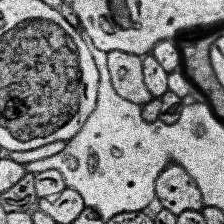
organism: Human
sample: Temporal Lobe